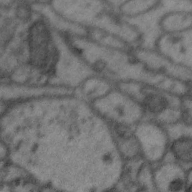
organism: Zebra finch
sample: Brain